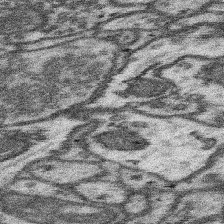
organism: Mouse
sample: Somatosensory cortex neuropil